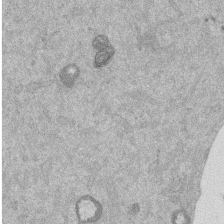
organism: Mouse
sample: Dividing mouse embryo 1 cell stage